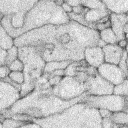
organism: Rabbit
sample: Retina